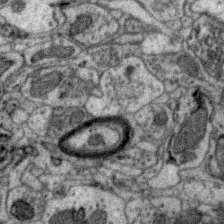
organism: Zebra finch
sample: Brain